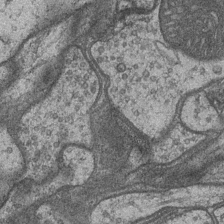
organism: Drosophila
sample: Optic medulla